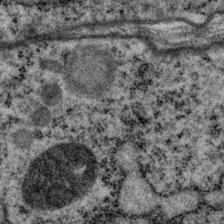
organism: P. pacificus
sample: Pharynx